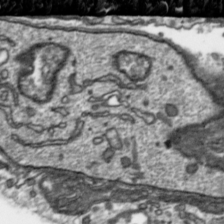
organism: Toxoplasma gondii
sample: Parasites in a vacuole inside a host cell